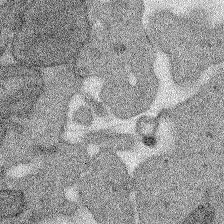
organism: Human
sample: HeLa cells